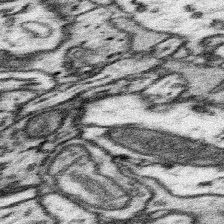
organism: Mouse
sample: Somatosensory cortex neuropil